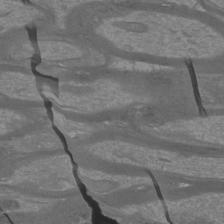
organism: Mouse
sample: Cortical neurons